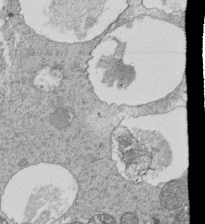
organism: Tetrahymena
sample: Cilia in tetrahymena